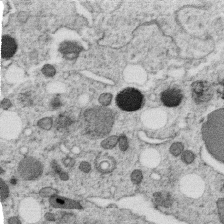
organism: C. elegans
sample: C. elegans oocyte; sperm cells